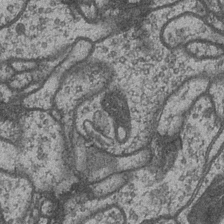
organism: Drosophila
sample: Optic medulla